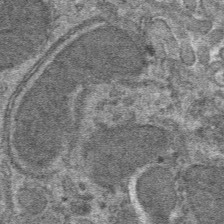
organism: Mouse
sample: Mouse hepatocytes